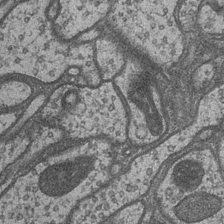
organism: Drosophila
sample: Optic medulla